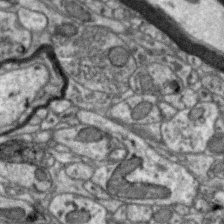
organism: Zebra finch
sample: Brain